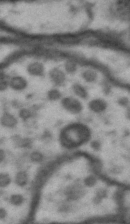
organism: Drosophila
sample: Brain